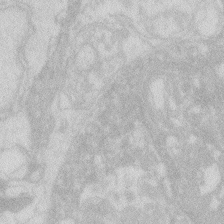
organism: Zebrafish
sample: Macrophage